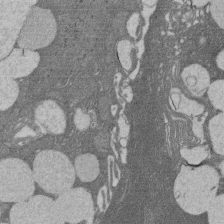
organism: Rat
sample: Salivary granule